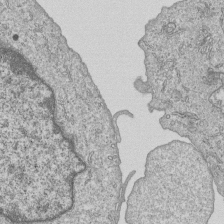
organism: Human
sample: MDA-MB-231 cells